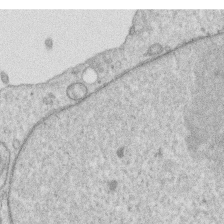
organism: Human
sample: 1205lu cells